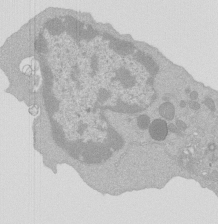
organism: Mouse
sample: Activated Pmel transgenic CD8+ T Cells